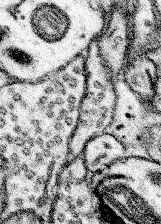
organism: Mouse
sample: Somatosensory cortex neuropil